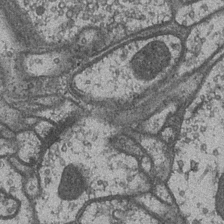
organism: Drosophila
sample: Optic medulla